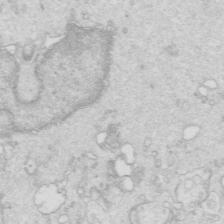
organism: Mouse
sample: Multiciliated cells